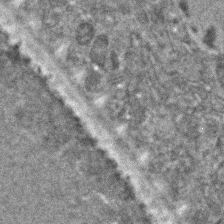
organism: C. elegans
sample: C. elegans embryo